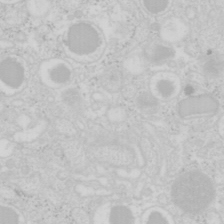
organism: Mouse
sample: Pancreas